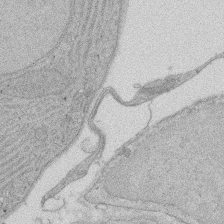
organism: Rat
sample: Salivary granule